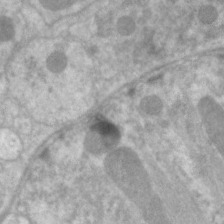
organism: C. elegans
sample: Pharynx